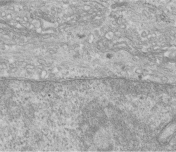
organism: Human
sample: Centriole in fibroblast cells